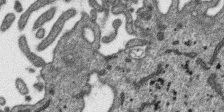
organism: Human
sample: Lung epithelial cells infected with SARS-CoV-2